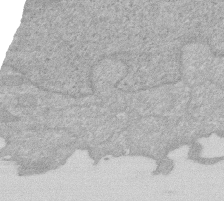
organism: Human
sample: HIV infected U937 cells